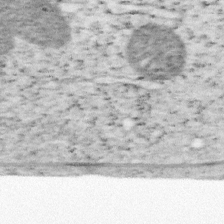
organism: Mouse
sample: OT-I killer T cells with ID8 ovarian cancer cells